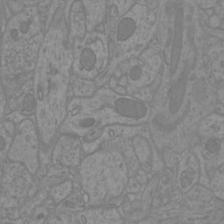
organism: Mouse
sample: Cortical neurons